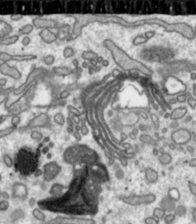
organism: Toxoplasma gondii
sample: Parasites in a vacuole inside a host cell